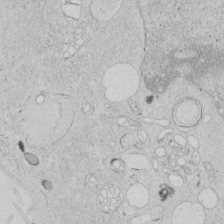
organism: Human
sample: Mitochondria in HCT116 cells